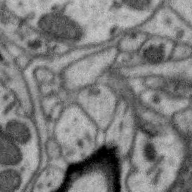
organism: Zebra finch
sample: Brain